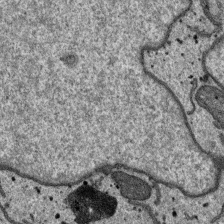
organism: Human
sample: Lung epithelial cells, uninfected (mock) control